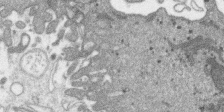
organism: Human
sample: Lung epithelial cells infected with SARS-CoV-2